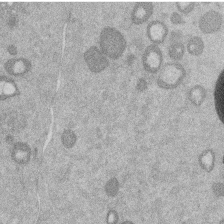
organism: Mouse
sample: Dividing mouse embryo 1 cell stage